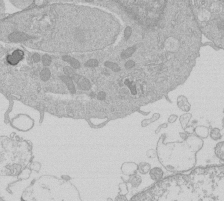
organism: Human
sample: Macrophage cells